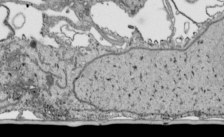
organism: Human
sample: Mitochondria in HCT116 cells